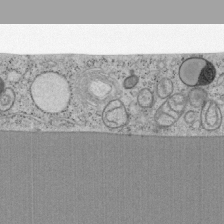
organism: Human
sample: HeLa cells